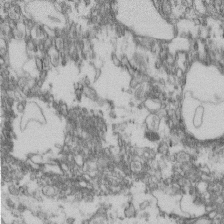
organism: Mouse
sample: Cilia; retinal pigment epithelium